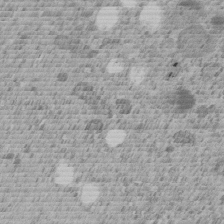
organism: C. elegans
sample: C. elegans embryo early stage